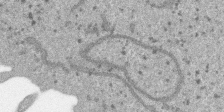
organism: Human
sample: Lung epithelial cells infected with SARS-CoV-2